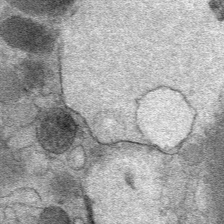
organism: Mouse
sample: Mouse Salivary gland